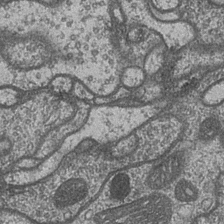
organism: Drosophila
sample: Optic medulla